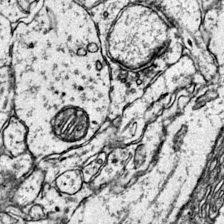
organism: Mouse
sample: Primary visual cortex